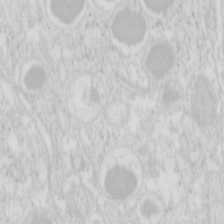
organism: Mouse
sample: Pancreas